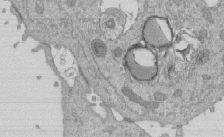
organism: Mouse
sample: ED-1 cell nuclei; centrioles